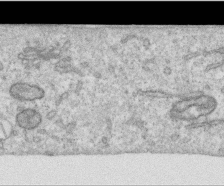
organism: Human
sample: Centriole in RPE cells